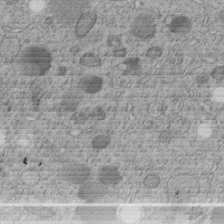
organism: C. elegans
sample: C. elegans embryo early stage